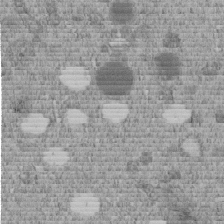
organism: C. elegans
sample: C. elegans embryo early stage